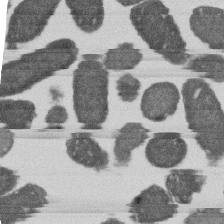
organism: E. coli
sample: Bacterial nucleoid